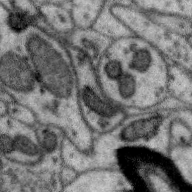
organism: Zebra finch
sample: Brain